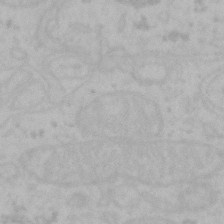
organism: Mouse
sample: Choroid plexus